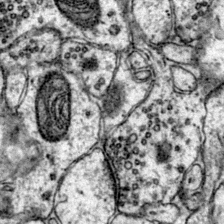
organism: Mouse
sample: Primary visual cortex